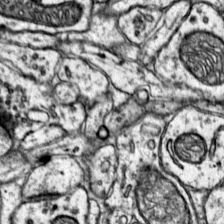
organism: Mouse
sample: Primary visual cortex